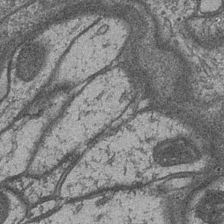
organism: Drosophila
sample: Optic medulla